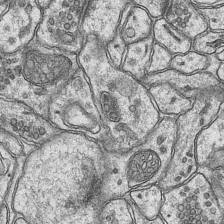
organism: Mouse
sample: CA1 Hippocampus